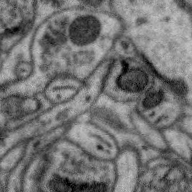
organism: Zebra finch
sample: Brain